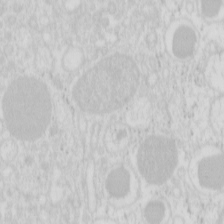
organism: Mouse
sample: Pancreas